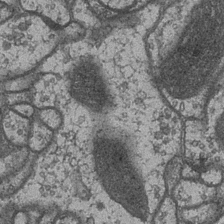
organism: Drosophila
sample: Optic medulla